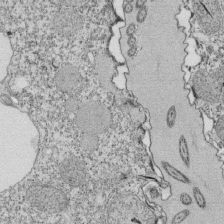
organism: Tetrahymena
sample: Cilia in tetrahymena